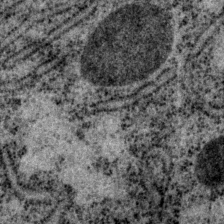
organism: P. pacificus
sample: Pharynx